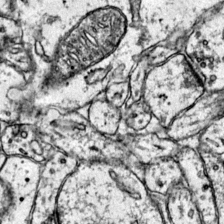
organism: Mouse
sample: Primary visual cortex